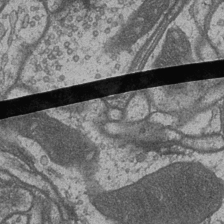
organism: Drosophila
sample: Optic medulla